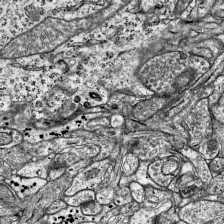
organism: Mouse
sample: Visual Cortex